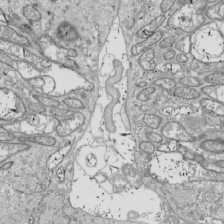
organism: Drosophila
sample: Cell division; meiosis; drosophila spermatocytes